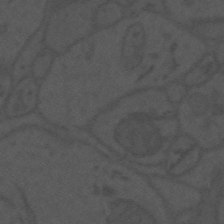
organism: Mouse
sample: Suprachiasmatic nucleus